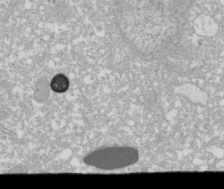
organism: Xenopus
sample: Cilia; centrioles in frog embryo cells